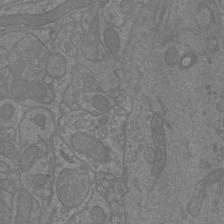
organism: Mouse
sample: Cortical neurons